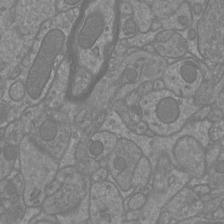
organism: Mouse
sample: Cortical neurons